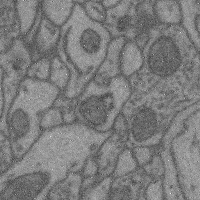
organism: Mouse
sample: Cerebral cortex